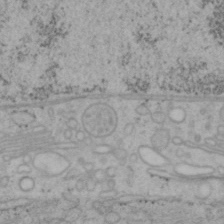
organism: Human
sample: HeLa cells